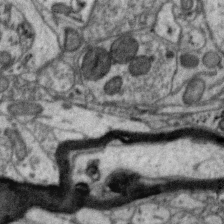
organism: Zebra finch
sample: Brain